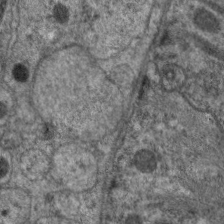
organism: C. elegans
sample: Pharynx